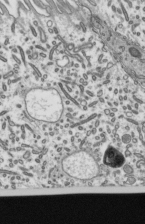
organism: Mouse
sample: Mouse epididymis efferent ductule cilia